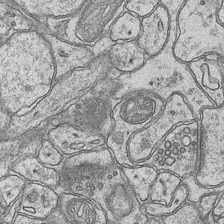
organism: Mouse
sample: CA1 Hippocampus